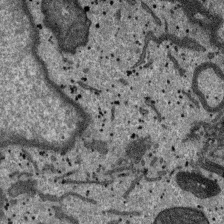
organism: Human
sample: Lung epithelial cells, uninfected (mock) control